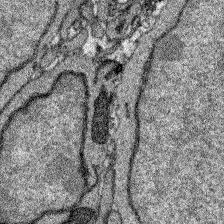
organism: Zebrafish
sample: Larval olfactory bulb